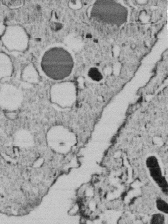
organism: C. elegans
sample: C. elegans embryo early stage